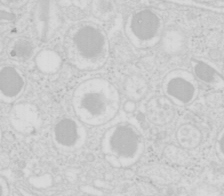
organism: Mouse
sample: Pancreas